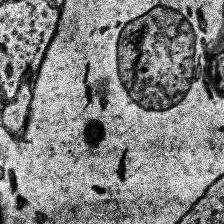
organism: Human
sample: Temporal Lobe